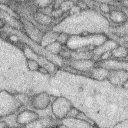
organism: Rabbit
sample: Retina